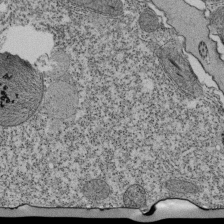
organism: Tetrahymena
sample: Cilia in tetrahymena